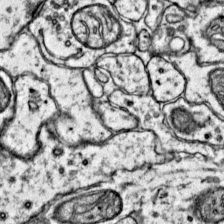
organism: Mouse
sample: Primary visual cortex